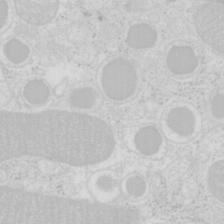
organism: Mouse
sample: Pancreas